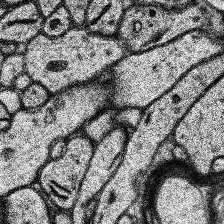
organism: Human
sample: Temporal Lobe